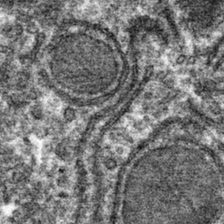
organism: Mouse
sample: Mouse hepatocytes